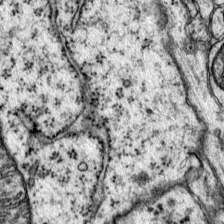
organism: Mouse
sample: Primary visual cortex